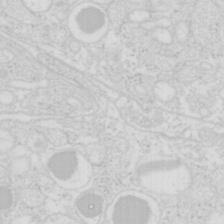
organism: Mouse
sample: Pancreas